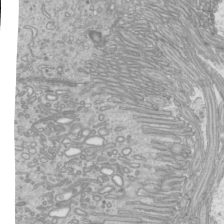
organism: Mouse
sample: Cilia; mouse epididymis